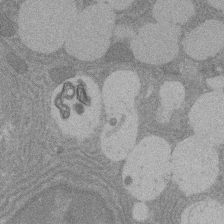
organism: Rat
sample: Salivary granule